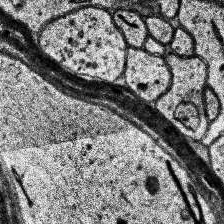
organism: Human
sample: Temporal Lobe